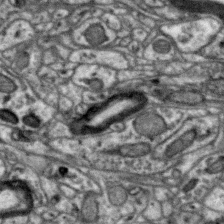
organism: Zebra finch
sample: Brain